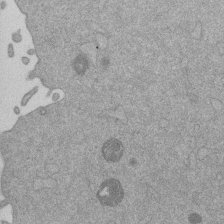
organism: Mouse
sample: Dividing mouse embryo 1 cell stage